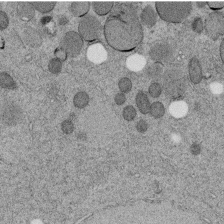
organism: C. elegans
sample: C. elegans embryo early stage